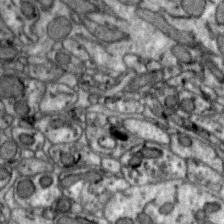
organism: Zebra finch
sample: Brain